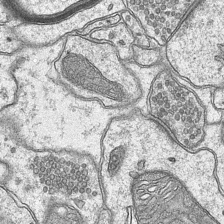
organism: Mouse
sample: CA1 Hippocampus